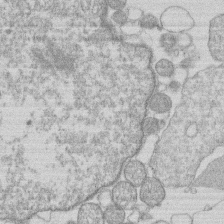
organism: Human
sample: Macrophage cells